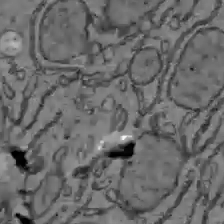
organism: C57BL Mouse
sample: Liver